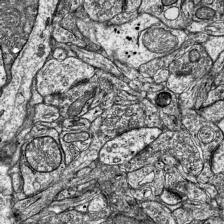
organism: Mouse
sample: Visual Cortex